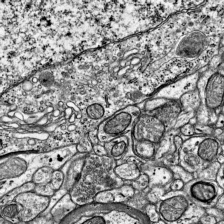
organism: Mouse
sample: Visual Cortex